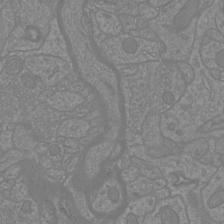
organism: Mouse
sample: Cortical neurons